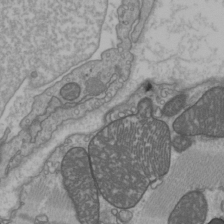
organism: C57BL Mouse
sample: Heart